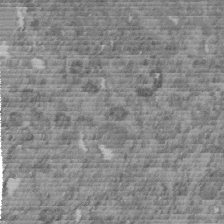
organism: C. elegans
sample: C. elegans embryo early stage